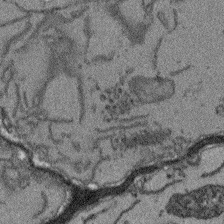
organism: Arabidopsis thaliana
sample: Root tip